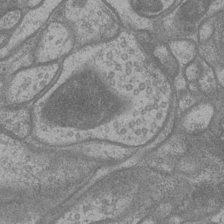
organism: Drosophila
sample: Optic medulla